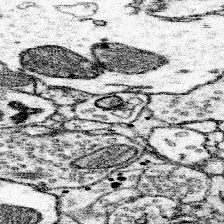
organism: Mouse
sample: Somatosensory cortex neuropil